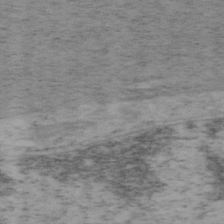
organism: Mouse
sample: OT-I killer T cells with ID8 ovarian cancer cells